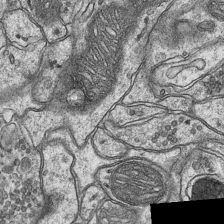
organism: Mouse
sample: CA1 Hippocampus